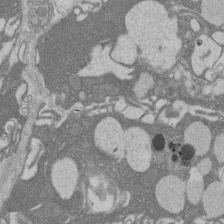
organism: Rat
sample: Salivary granule